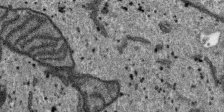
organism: Human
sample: Lung epithelial cells, uninfected (mock) control